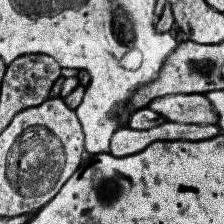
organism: Human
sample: Temporal Lobe